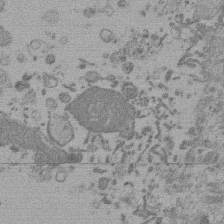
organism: Mouse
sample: Dividing mouse embryo 1 cell stage